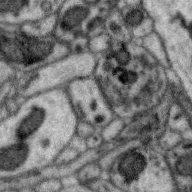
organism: Zebra finch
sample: Brain